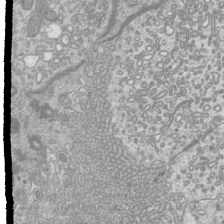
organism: Mouse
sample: Cilia; mouse epididymis